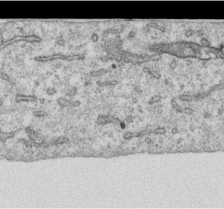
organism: Human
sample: Centriole in RPE cells